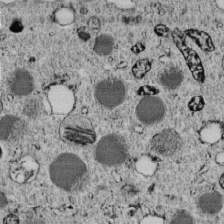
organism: C. elegans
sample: C. elegans embryo early stage